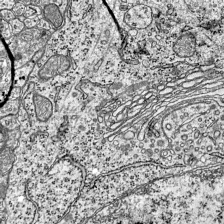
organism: Mouse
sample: Visual Cortex